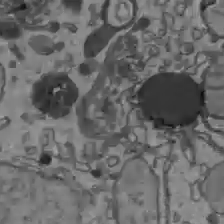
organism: C57BL Mouse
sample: Liver